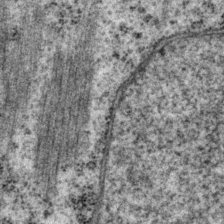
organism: P. pacificus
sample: Pharynx